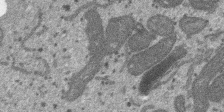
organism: Human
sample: Lung epithelial cells infected with SARS-CoV-2